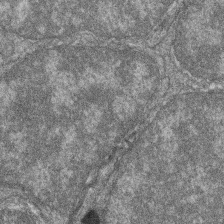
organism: Zebrafish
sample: Cilia; retinal pigment epithelium